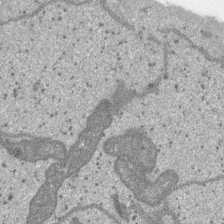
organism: Human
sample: Lung epithelial cells infected with SARS-CoV-2